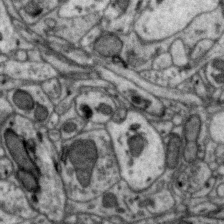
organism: Zebra finch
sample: Brain